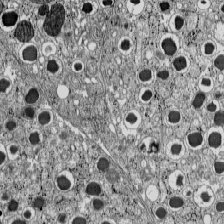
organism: C57BL Mouse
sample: Pancreatic islet